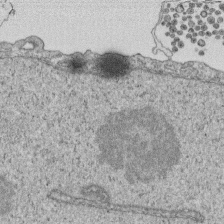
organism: Human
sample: HeLa cell HIV synapse